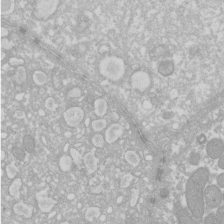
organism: Xenopus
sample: Cilia; centrioles in frog embryo cells